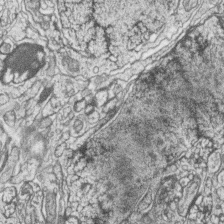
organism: Zebrafish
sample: synaptic ribbons in rod cells and cone cells